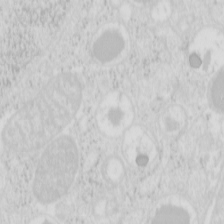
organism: Mouse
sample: Pancreas